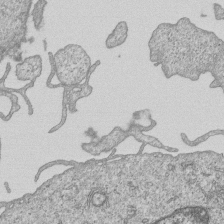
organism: Human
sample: MDA-MB-231 cells